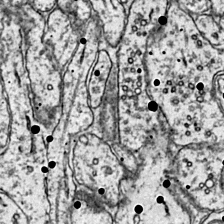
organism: Mouse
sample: Primary visual cortex